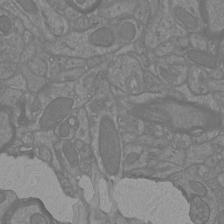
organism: Mouse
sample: Cortical neurons